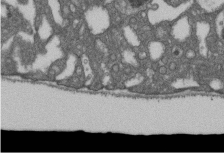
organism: Drosophila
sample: Nephrocyte